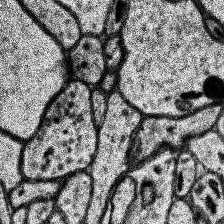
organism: Human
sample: Temporal Lobe